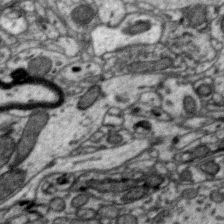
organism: Zebra finch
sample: Brain